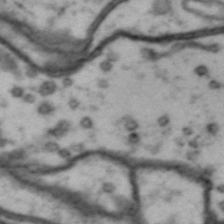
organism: Drosophila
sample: Brain